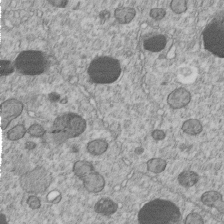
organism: C. elegans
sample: C. elegans embryo early stage